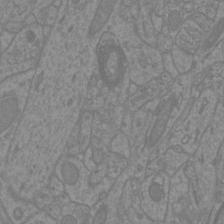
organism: Mouse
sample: Cortical neurons